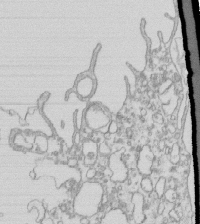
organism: Mouse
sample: Macrophages